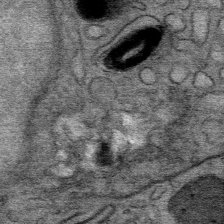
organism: Mouse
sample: Mouse Salivary gland